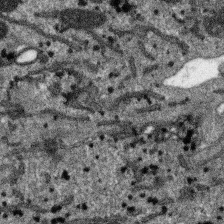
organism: Human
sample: Lung epithelial cells infected with SARS-CoV-2